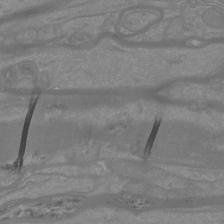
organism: Mouse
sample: Cortical neurons